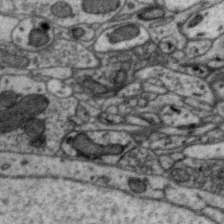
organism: Zebra finch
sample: Brain